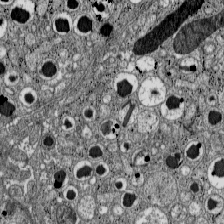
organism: C57BL Mouse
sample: Pancreatic islet